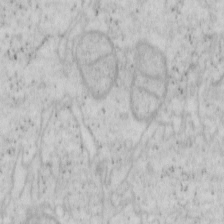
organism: Human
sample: HeLa cells